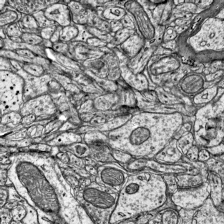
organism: Mouse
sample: Visual Cortex